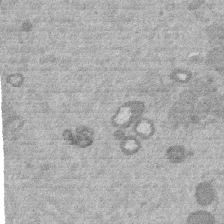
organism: Mouse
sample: Dividing mouse embryo 1 cell stage